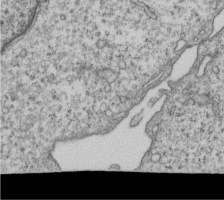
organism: Human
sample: MDA-MB-231 cells